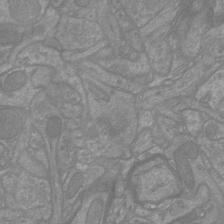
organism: Mouse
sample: Cortical neurons